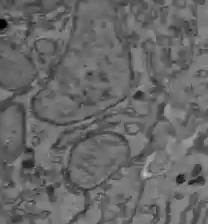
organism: C57BL Mouse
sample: Liver